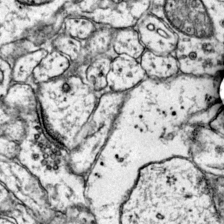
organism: Mouse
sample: Primary visual cortex